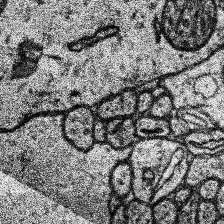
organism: Human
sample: Temporal Lobe